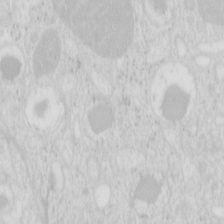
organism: Mouse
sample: Pancreas